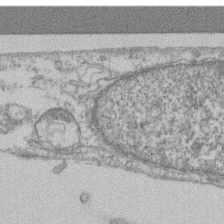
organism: Mouse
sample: T cell stromal cell synapse